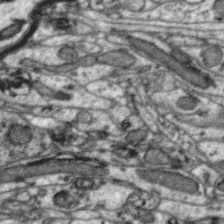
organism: Zebra finch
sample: Brain